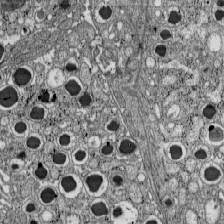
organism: C57BL Mouse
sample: Pancreatic islet